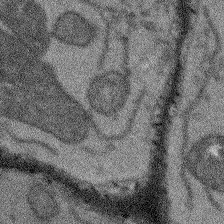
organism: Arabidopsis thaliana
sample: Root tip